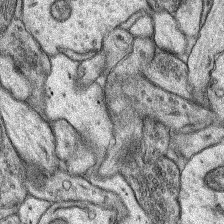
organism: Rat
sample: Hippocampus